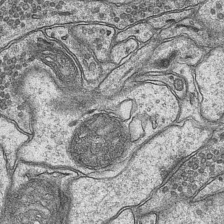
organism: Mouse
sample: CA1 Hippocampus